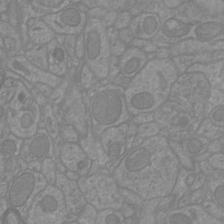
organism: Mouse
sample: Cortical neurons